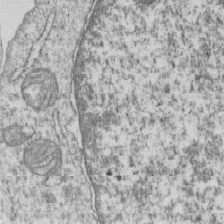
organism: Human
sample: MDA-MB-231 cells